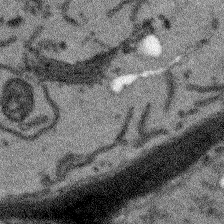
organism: Arabidopsis thaliana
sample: Root tip